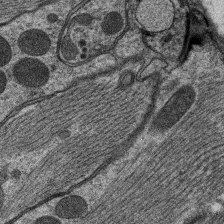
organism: C. elegans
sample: Pharynx